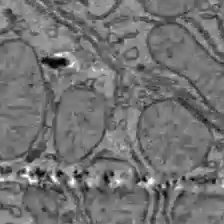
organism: C57BL Mouse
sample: Liver